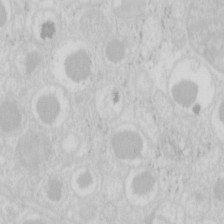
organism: Mouse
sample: Pancreas